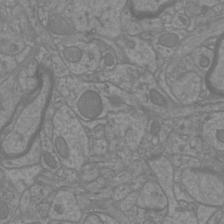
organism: Mouse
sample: Cortical neurons